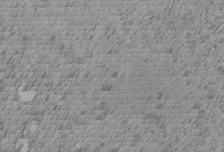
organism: C. elegans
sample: C. elegans embryo early stage